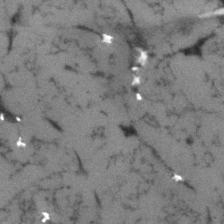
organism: Human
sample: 1205lu cells